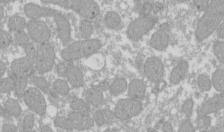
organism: Xenopus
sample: Cilia; centrioles in frog embryo cells